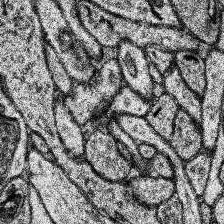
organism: Human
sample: Temporal Lobe